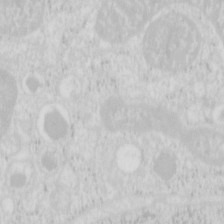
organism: Mouse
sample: Pancreas